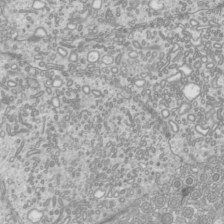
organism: Mouse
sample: Cilia; mouse epididymis